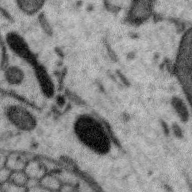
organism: Zebra finch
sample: Brain